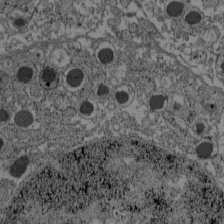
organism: C57BL Mouse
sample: Pancreatic islet